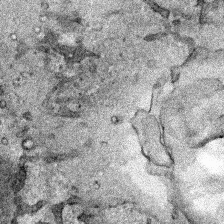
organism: Human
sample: Mitochondria in HCT116 cells